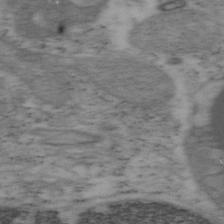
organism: Mouse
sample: OT-I killer T cells with ID8 ovarian cancer cells